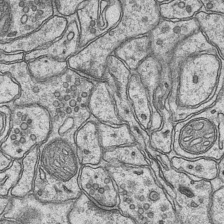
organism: Mouse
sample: CA1 Hippocampus